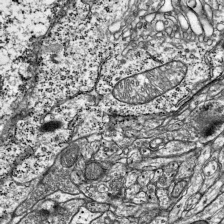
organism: Mouse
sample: Visual Cortex